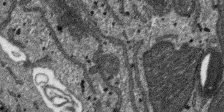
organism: Human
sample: Lung epithelial cells infected with SARS-CoV-2